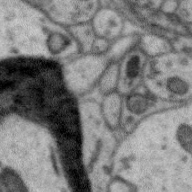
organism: Zebra finch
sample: Brain